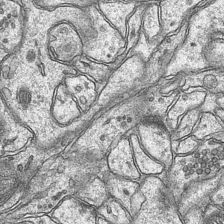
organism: Mouse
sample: CA1 Hippocampus